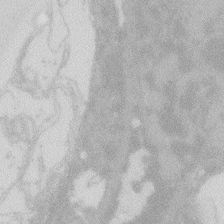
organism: Zebrafish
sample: Macrophage